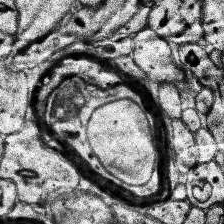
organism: Human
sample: Temporal Lobe